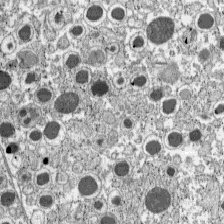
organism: C57BL Mouse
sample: Pancreatic islet